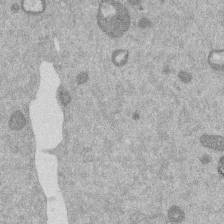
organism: Mouse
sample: Dividing mouse embryo 1 cell stage